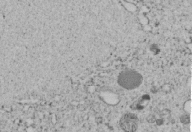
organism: C. elegans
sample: C. elegans embryo early stage